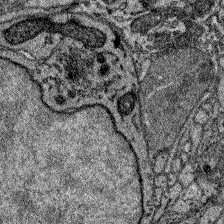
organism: Zebrafish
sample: Larval olfactory bulb